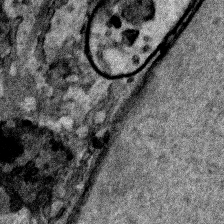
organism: Human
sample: Mitochondria in HCT116 cells